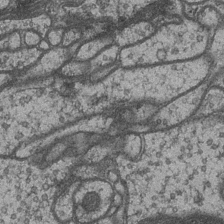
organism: Drosophila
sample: Optic medulla